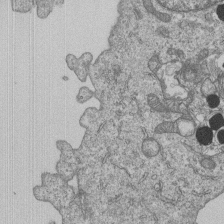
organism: Human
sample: MDA-MB-231 cells